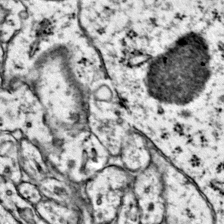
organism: Mouse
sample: Primary visual cortex